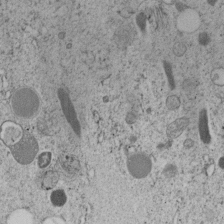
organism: C. elegans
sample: C. elegans embryo early stage